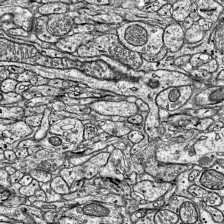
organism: Mouse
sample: Visual Cortex